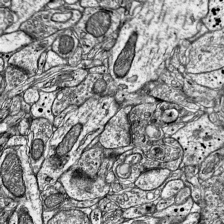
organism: Mouse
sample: Visual Cortex